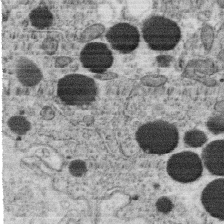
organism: C. elegans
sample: C. elegans oocyte; sperm cells